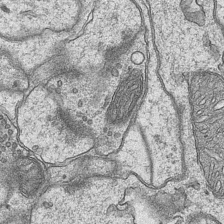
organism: Mouse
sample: CA1 Hippocampus